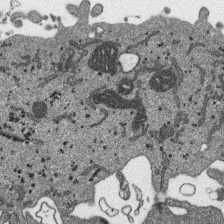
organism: Human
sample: Lung epithelial cells infected with SARS-CoV-2